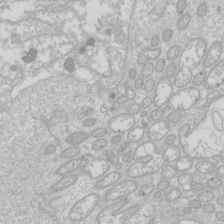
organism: Drosophila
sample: Cell division; meiosis; drosophila spermatocytes